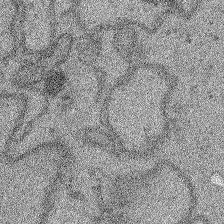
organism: Human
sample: HeLa cells